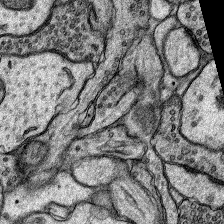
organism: Rat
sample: Hippocampus